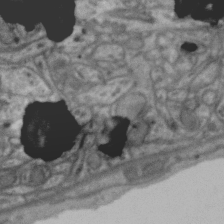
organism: Zebra finch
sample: Brain